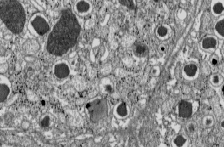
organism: C57BL Mouse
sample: Pancreatic islet